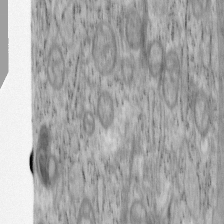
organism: Human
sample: HeLa cells